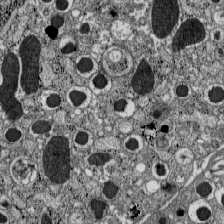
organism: C57BL Mouse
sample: Pancreatic islet